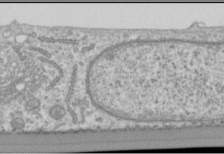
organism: Human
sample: Cilia; basal body in RPE cells